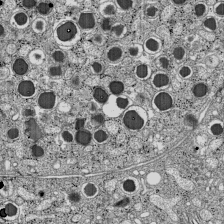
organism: C57BL Mouse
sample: Pancreatic islet